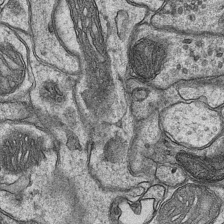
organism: Mouse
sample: CA1 Hippocampus